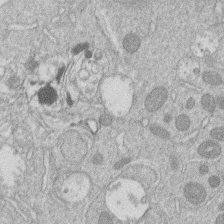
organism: Human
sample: Macrophage cells